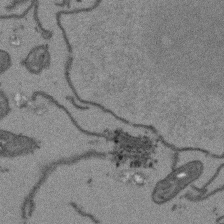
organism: Arabidopsis thaliana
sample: Root tip